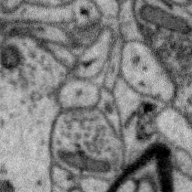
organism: Zebra finch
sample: Brain